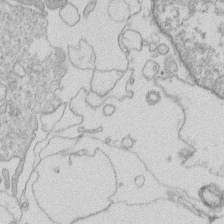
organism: Human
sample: Macrophage cells